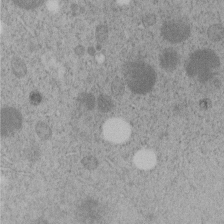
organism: C. elegans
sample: C. elegans embryo early stage